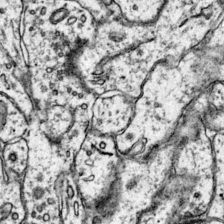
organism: Mouse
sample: Primary visual cortex